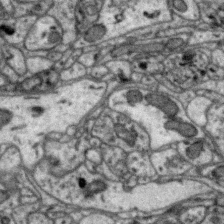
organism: Zebra finch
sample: Brain